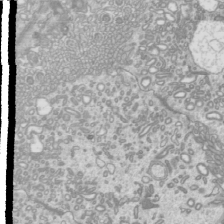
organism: Mouse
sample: Cilia; mouse epididymis